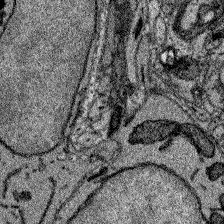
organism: Zebrafish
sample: Larval olfactory bulb